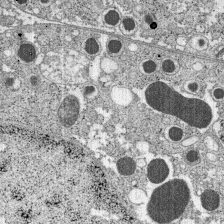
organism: C57BL Mouse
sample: Pancreatic islet